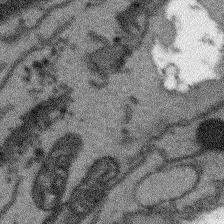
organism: Arabidopsis thaliana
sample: Root tip